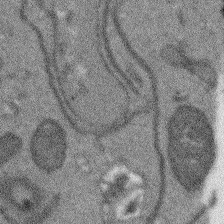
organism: Arabidopsis thaliana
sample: Root tip